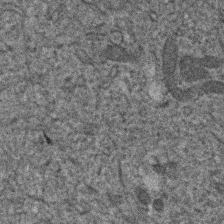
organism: Human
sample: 1205lu cells